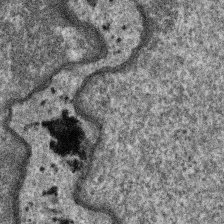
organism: Human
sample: Lung epithelial cells infected with SARS-CoV-2